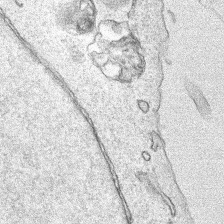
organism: Human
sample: Mitochondria in HCT116 cells